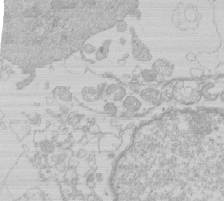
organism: Human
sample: Macrophage cells